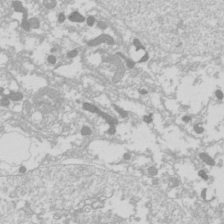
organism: Drosophila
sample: Cell division; meiosis; drosophila spermatocytes